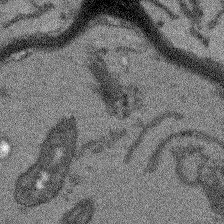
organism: Arabidopsis thaliana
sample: Root tip